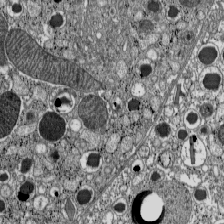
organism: C57BL Mouse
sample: Pancreatic islet